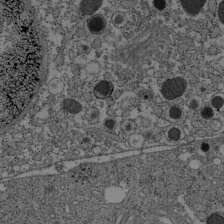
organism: C57BL Mouse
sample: Pancreatic islet